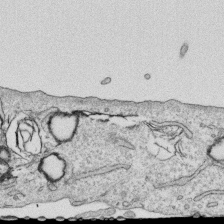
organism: Human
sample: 1205lu cells